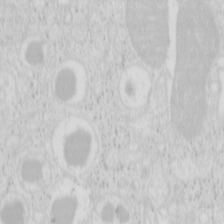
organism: Mouse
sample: Pancreas